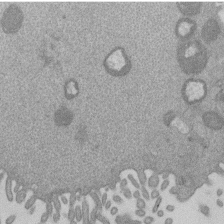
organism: Mouse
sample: Dividing mouse embryo 1 cell stage